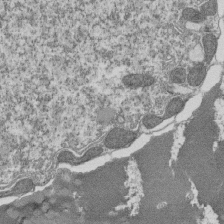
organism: Tetrahymena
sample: Cilia in tetrahymena